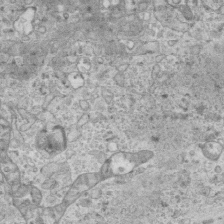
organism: Mouse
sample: Centriole in ependymal cells